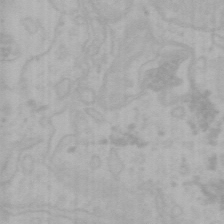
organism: Mouse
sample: Choroid plexus